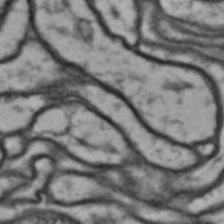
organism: Drosophila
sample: Brain